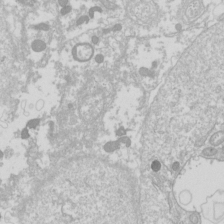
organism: Drosophila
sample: Cell division; meiosis; drosophila spermatocytes